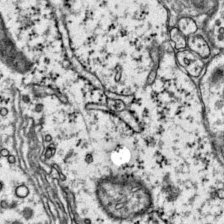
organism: Mouse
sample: Primary visual cortex